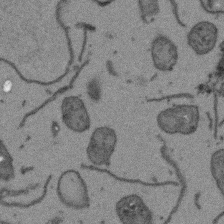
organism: Arabidopsis thaliana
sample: Root tip